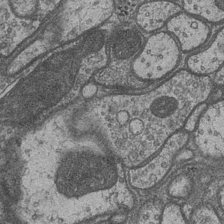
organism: Drosophila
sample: Optic medulla